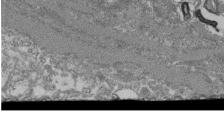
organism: Mouse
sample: Glomerulus